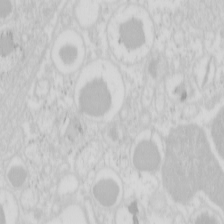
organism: Mouse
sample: Pancreas